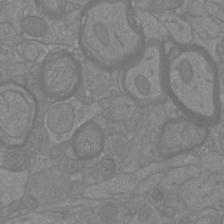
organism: Mouse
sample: Cortical neurons